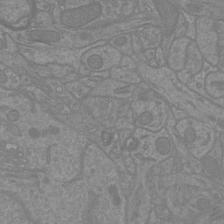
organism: Mouse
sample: Cortical neurons